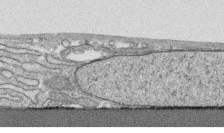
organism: Human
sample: CRL-1474